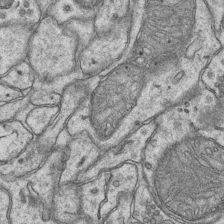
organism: Mouse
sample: CA1 Hippocampus